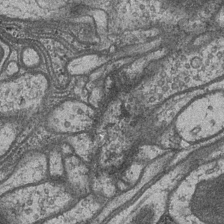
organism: Drosophila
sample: Optic medulla